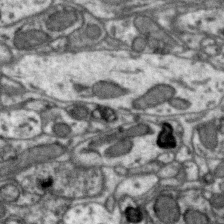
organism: Zebra finch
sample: Brain